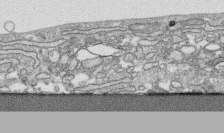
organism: Human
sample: CRL-1474